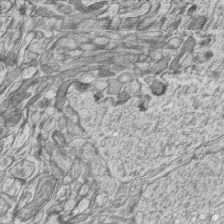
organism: Zebrafish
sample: synaptic ribbons in rod cells and cone cells